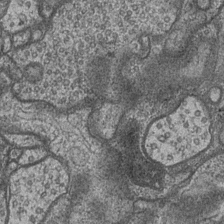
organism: Drosophila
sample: Optic medulla